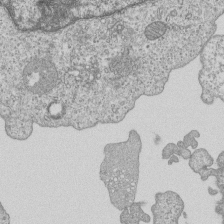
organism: Human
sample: MDA-MB-231 cells